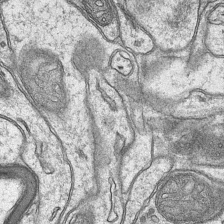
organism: Mouse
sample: CA1 Hippocampus